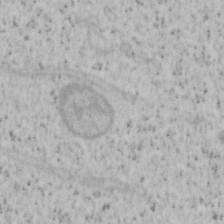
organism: Human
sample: HeLa cells